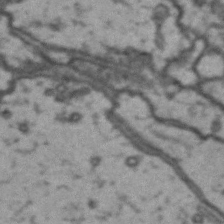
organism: Drosophila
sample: Brain